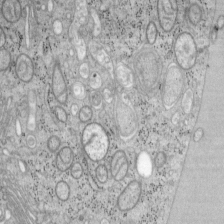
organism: Mouse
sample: OT-I killer T cells with ID8 ovarian cancer cells